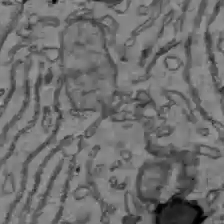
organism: C57BL Mouse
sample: Liver